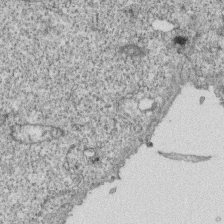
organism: Human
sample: HeLa cell HIV synapse